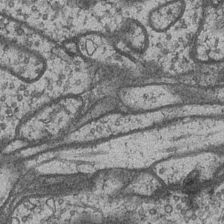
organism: Drosophila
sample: Optic medulla